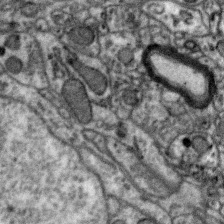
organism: Zebra finch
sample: Brain